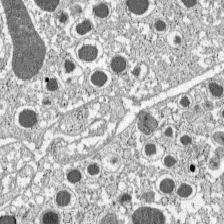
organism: C57BL Mouse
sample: Pancreatic islet